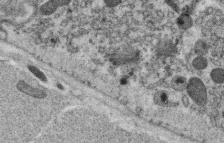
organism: C. elegans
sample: C. elegans oocyte; sperm cells